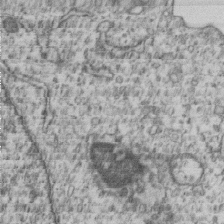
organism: Human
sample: MDA-MB-231 cells